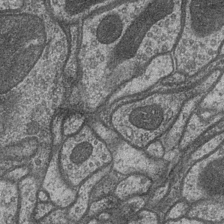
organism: Drosophila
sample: Optic medulla